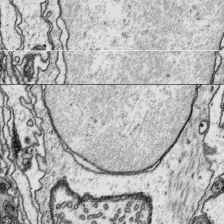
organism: Platynereis dumerilii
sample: Parapodia